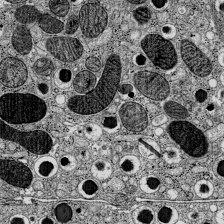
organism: C57BL Mouse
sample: Pancreatic islet